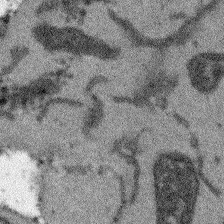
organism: Arabidopsis thaliana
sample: Root tip